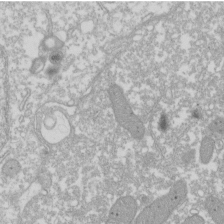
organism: Xenopus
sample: Cilia; centrioles in frog embryo cells